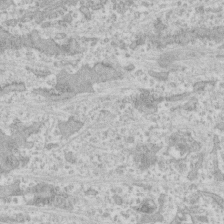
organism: Human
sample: CRL-1474